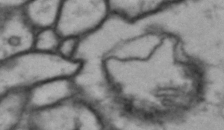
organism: Drosophila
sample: Brain